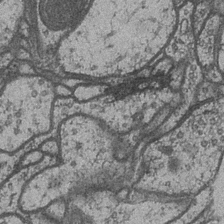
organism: Drosophila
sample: Optic medulla